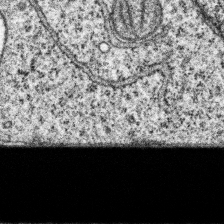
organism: Human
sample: HeLa cells